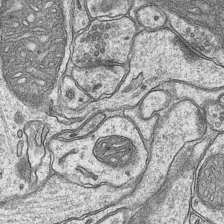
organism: Mouse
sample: CA1 Hippocampus